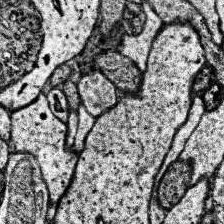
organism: Human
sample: Temporal Lobe